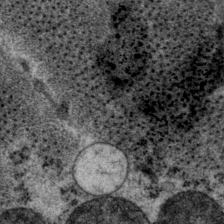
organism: P. pacificus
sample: Pharynx